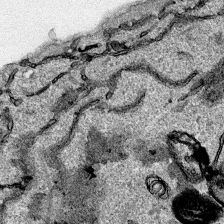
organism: Human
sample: Mitochondria in HCT116 cells